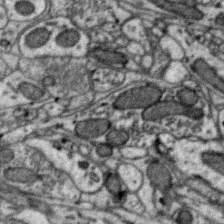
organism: Zebra finch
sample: Brain